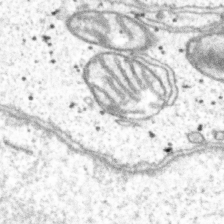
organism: Human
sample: HeLa cells